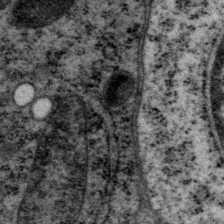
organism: P. pacificus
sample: Pharynx